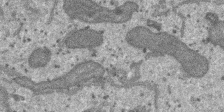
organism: Human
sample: Lung epithelial cells infected with SARS-CoV-2